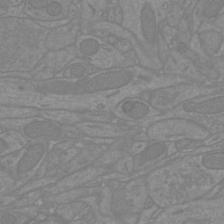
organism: Mouse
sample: Cortical neurons